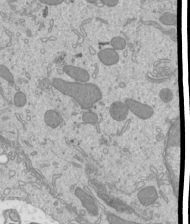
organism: Mouse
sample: Cilia; mouse epididymis